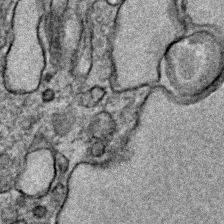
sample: Trachea